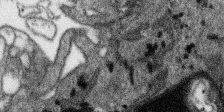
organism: Human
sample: Lung epithelial cells infected with SARS-CoV-2